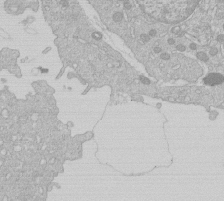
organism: Human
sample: Macrophage cells